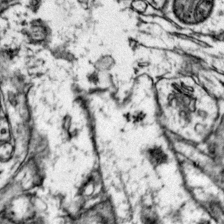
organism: Mouse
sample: Primary visual cortex